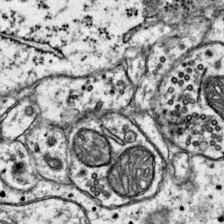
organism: Mouse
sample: Primary visual cortex